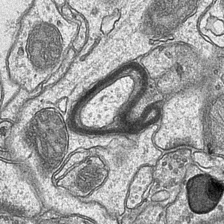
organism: Mouse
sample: CA1 Hippocampus